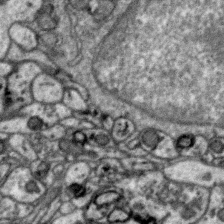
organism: Zebra finch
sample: Brain